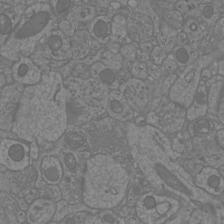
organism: Mouse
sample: Cortical neurons